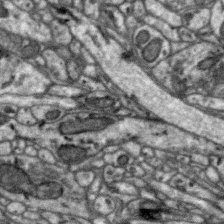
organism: Zebra finch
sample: Brain